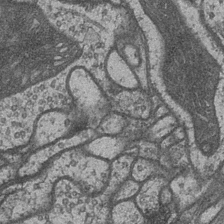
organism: Drosophila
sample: Optic medulla